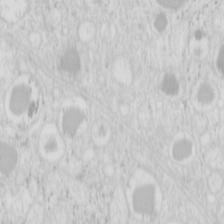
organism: Mouse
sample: Pancreas